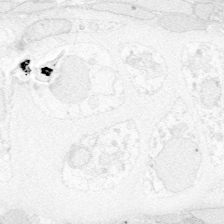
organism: Zebrafish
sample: Whole-Brain